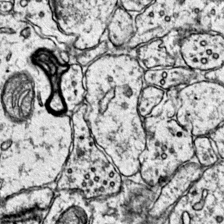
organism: Mouse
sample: Primary visual cortex